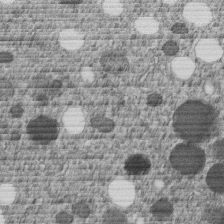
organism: C. elegans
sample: C. elegans embryo early stage